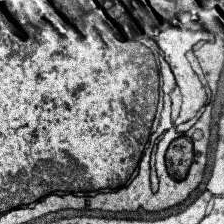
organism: Human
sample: Temporal Lobe